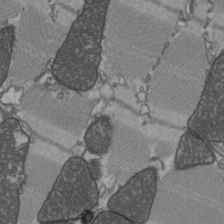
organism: C57BL Mouse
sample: Heart